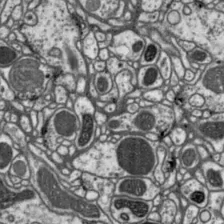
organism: Drosophila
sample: Protocerebral bridge